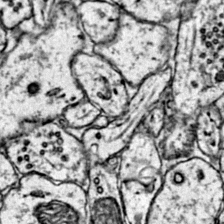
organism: Mouse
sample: Primary visual cortex